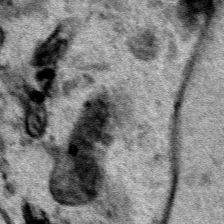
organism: Human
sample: Mitochondria in HCT116 cells